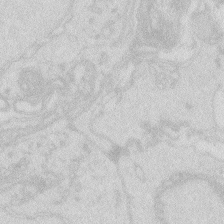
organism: Zebrafish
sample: Macrophage